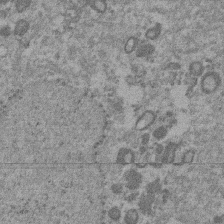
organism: Mouse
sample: Dividing mouse embryo 1 cell stage